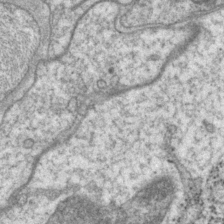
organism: P. pacificus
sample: Pharynx